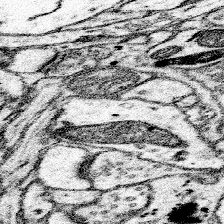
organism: Mouse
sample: Somatosensory cortex neuropil